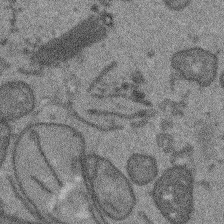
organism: Arabidopsis thaliana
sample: Root tip